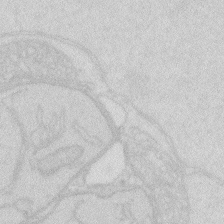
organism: Zebrafish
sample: Macrophage